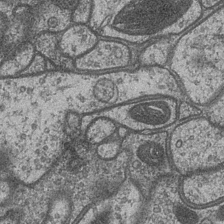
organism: Drosophila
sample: Optic medulla